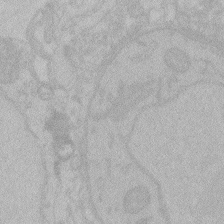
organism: Zebrafish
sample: Macrophage infected with Toxoplasma gondii